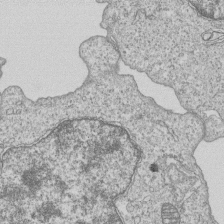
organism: Human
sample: MDA-MB-231 cells